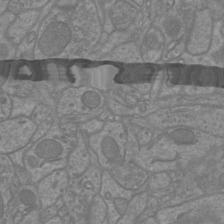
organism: Mouse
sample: Cortical neurons